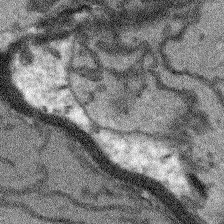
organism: Arabidopsis thaliana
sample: Root tip